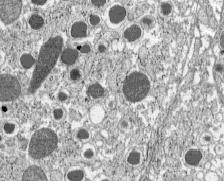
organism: C57BL Mouse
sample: Pancreatic islet